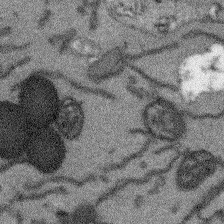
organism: Arabidopsis thaliana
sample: Root tip